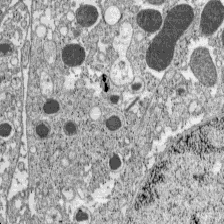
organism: C57BL Mouse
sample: Pancreatic islet